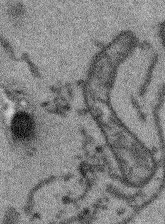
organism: Arabidopsis thaliana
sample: Root tip